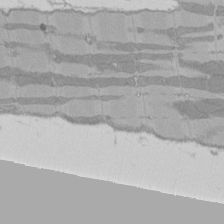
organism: Rat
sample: Left ventricle